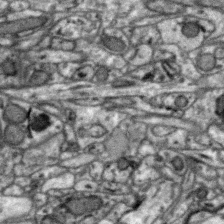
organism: Zebra finch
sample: Brain